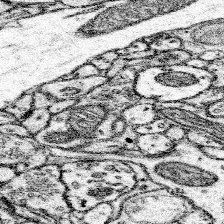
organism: Mouse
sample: Somatosensory cortex neuropil